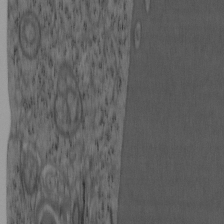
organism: Human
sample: HeLa cells